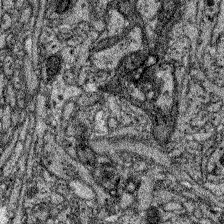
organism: Zebrafish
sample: Larval olfactory bulb